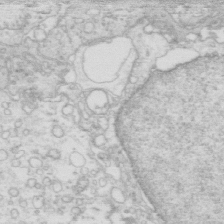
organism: Mouse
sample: Multiciliated cells